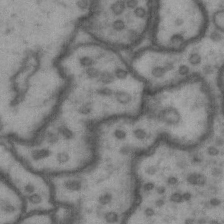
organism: Drosophila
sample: Brain